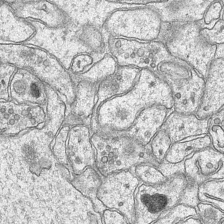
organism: Mouse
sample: CA1 Hippocampus